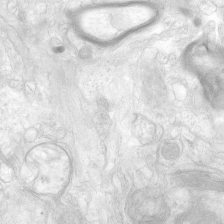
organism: Human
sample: Neocortex